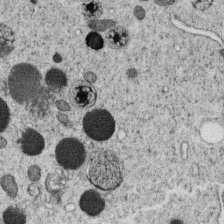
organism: C. elegans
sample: C. elegans oocyte; sperm cells